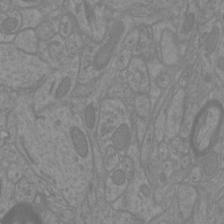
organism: Mouse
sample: Cortical neurons